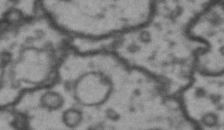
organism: Drosophila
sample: Brain